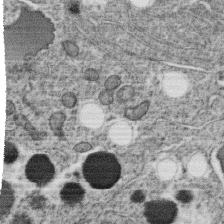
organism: C. elegans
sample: C. elegans oocyte; sperm cells